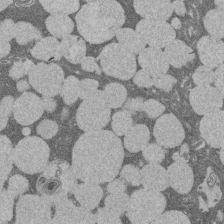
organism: Rat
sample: Salivary granule